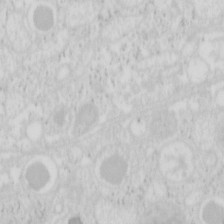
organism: Mouse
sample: Pancreas